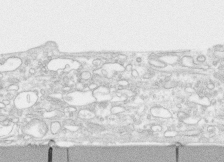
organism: Human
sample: CRL-1474